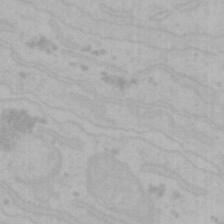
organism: Mouse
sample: Choroid plexus